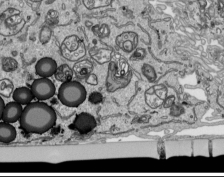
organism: Human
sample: Mitochondria in HCT116 cells